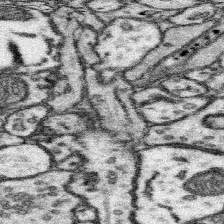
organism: Mouse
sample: Somatosensory cortex neuropil